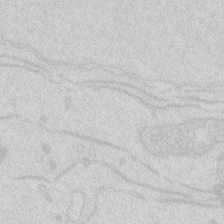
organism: Zebrafish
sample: Macrophage